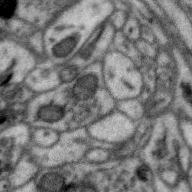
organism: Zebra finch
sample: Brain